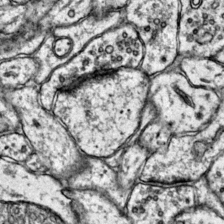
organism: Mouse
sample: Primary visual cortex